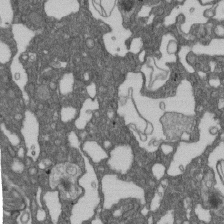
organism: Drosophila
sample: Nephrocyte